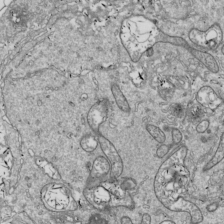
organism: Drosophila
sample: Cell division; meiosis; drosophila spermatocytes